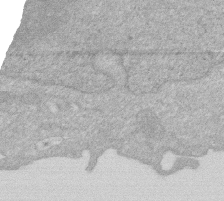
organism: Human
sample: HIV infected U937 cells